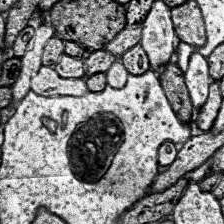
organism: Human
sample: Temporal Lobe